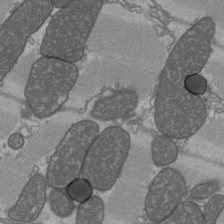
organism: C57BL Mouse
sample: Heart